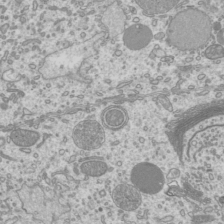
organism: Mouse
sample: Cilia; mouse epididymis